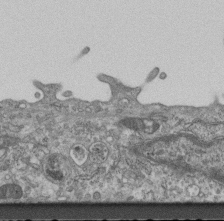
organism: Mouse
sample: Centriole in ependymal cells